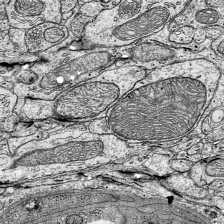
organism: Mouse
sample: Visual Cortex